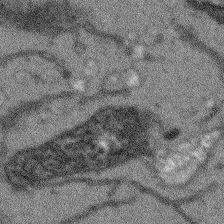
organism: Arabidopsis thaliana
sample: Root tip